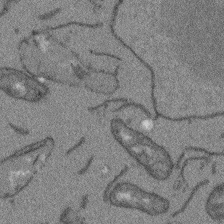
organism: Arabidopsis thaliana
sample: Root tip